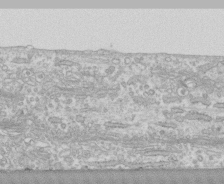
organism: Human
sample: CRL-1474